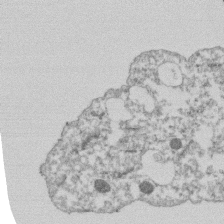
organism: Dictyostelium discoideum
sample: Dictyostelium multivesicular bodies